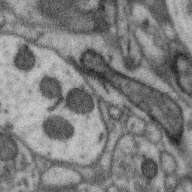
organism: Zebra finch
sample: Brain